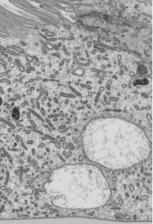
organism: Mouse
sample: Mouse epididymis efferent ductule cilia